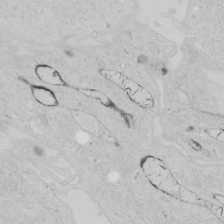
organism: Human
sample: Mitochondria in HCT116 cells